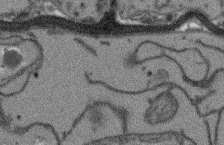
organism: Arabidopsis thaliana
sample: Root tip